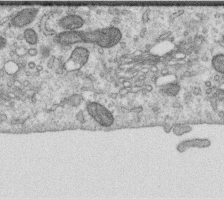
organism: Human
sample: Centriole in RPE cells